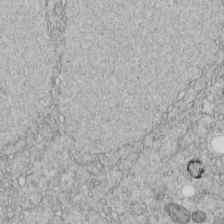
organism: C. elegans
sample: C. elegans embryo early stage